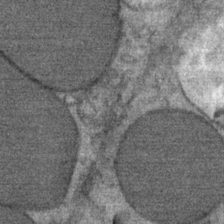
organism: Mouse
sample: Mouse Salivary gland